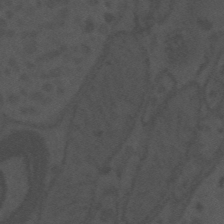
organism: Mouse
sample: Suprachiasmatic nucleus